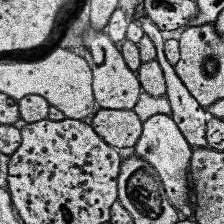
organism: Human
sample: Temporal Lobe